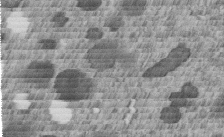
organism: C. elegans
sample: C. elegans embryo early stage